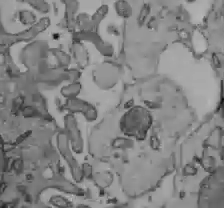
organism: C57BL Mouse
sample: Liver